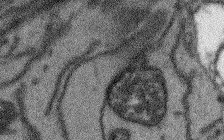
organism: Arabidopsis thaliana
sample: Root tip